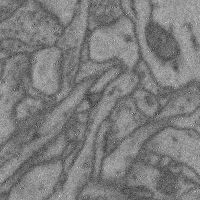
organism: Mouse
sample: Cerebral cortex